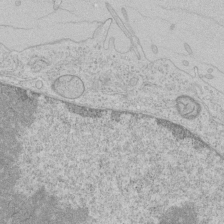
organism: Human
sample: Mitochondria in HCT116 cells